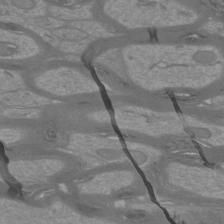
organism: Mouse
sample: Cortical neurons